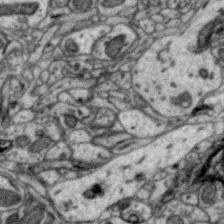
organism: Zebra finch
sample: Brain